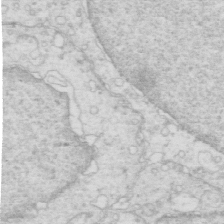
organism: Mouse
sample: Multiciliated cells